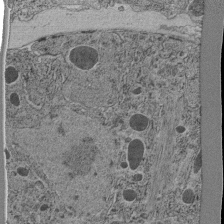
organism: C. elegans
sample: C. elegans pharynx